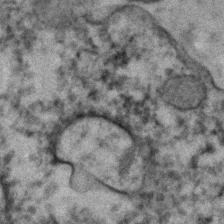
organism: Human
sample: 1205lu cells